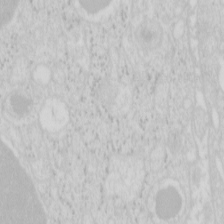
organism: Mouse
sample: Pancreas